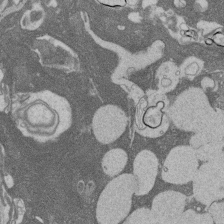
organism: Rat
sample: Salivary granule